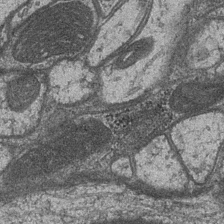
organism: Drosophila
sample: Optic medulla